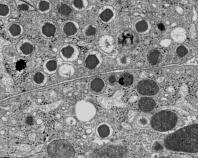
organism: C57BL Mouse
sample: Pancreatic islet